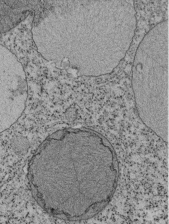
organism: Tetrahymena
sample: Cilia in tetrahymena